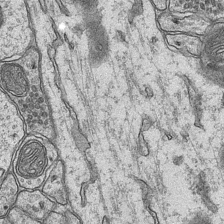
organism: Mouse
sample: CA1 Hippocampus